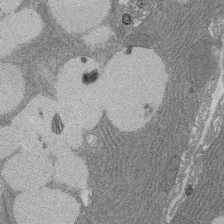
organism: Rat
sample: Salivary granule